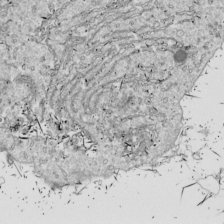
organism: Drosophila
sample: Cell division; meiosis; drosophila spermatocytes